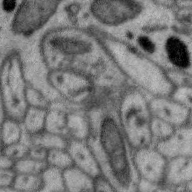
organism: Zebra finch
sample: Brain